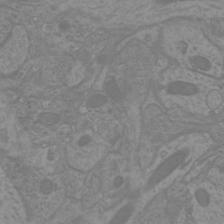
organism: Mouse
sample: Cortical neurons